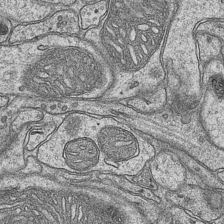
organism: Mouse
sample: CA1 Hippocampus